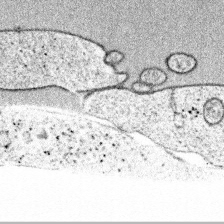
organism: Human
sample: HeLa cells